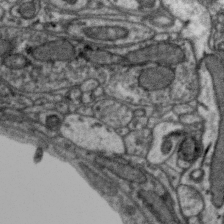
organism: Zebra finch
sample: Brain